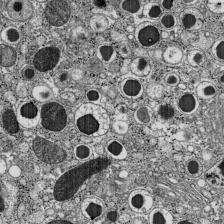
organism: C57BL Mouse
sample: Pancreatic islet